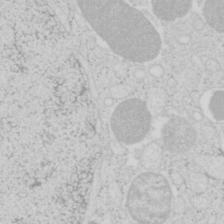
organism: Mouse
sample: Pancreas